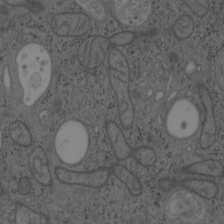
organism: Mouse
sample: OT-I killer T cells with ID8 ovarian cancer cells